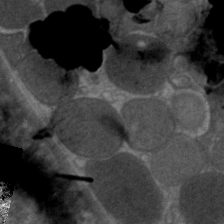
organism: C. elegans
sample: Pharynx